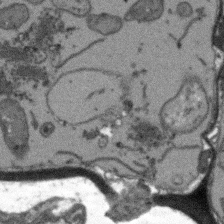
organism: Arabidopsis thaliana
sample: Root tip